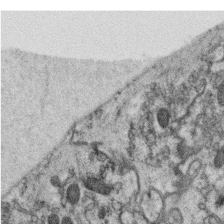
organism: C. elegans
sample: C. elegans oocyte; sperm cells